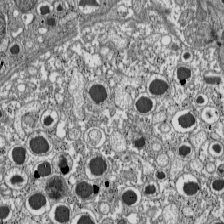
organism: C57BL Mouse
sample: Pancreatic islet